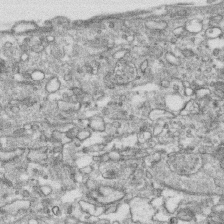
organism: Human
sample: CRL-1474